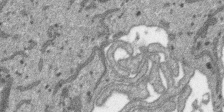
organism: Human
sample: Lung epithelial cells infected with SARS-CoV-2